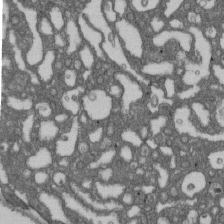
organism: Drosophila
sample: Nephrocyte